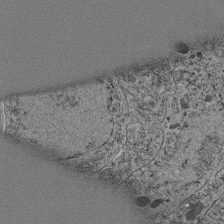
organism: C. elegans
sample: C. elegans pharynx